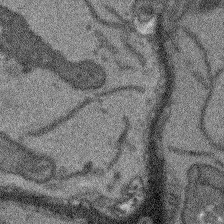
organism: Arabidopsis thaliana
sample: Root tip